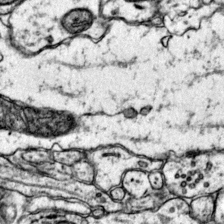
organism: Mouse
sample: Primary visual cortex